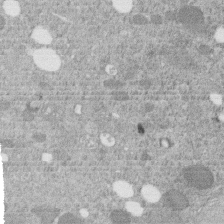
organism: C. elegans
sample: C. elegans embryo early stage